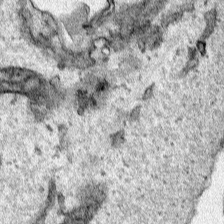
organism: Human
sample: Mitochondria in HCT116 cells